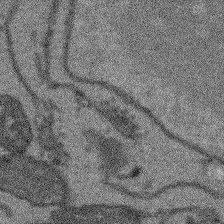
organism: Arabidopsis thaliana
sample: Root tip